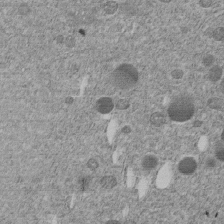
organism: C. elegans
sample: C. elegans embryo early stage